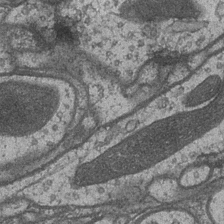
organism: Drosophila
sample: Optic medulla